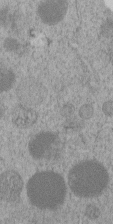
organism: C. elegans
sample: C. elegans embryo early stage